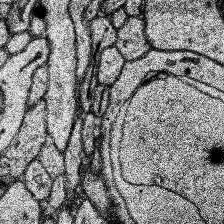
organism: Human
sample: Temporal Lobe